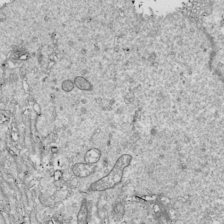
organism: Drosophila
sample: Cell division; meiosis; drosophila spermatocytes